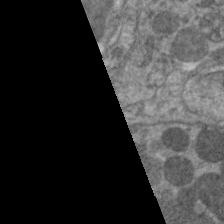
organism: C. elegans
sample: Pharynx